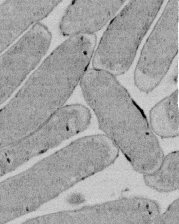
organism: E. coli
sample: Bacterial nucleoid